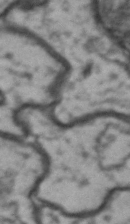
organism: Drosophila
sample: Brain